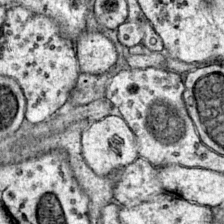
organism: Mouse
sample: Primary visual cortex